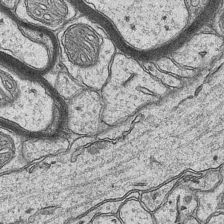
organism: Mouse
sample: CA1 Hippocampus